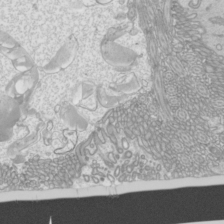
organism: Mouse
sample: Cilia; mouse epididymis